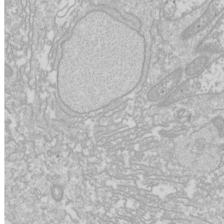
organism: Drosophila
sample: Cell division; meiosis; drosophila spermatocytes